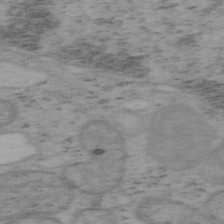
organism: Mouse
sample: OT-I killer T cells with ID8 ovarian cancer cells